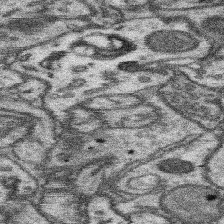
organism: Mouse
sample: Somatosensory cortex neuropil